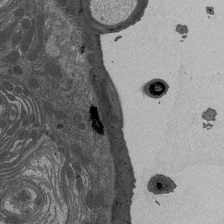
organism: Drosophila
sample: Antenna